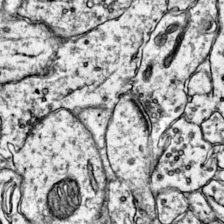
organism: Mouse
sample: Primary visual cortex